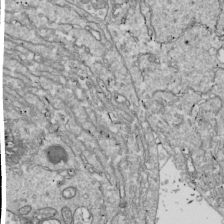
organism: Drosophila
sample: Cell division; meiosis; drosophila spermatocytes